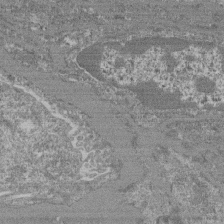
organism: Mouse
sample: Glomerulus